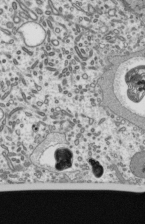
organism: Mouse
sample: Mouse epididymis efferent ductule cilia